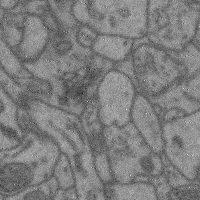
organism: Mouse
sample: Cerebral cortex